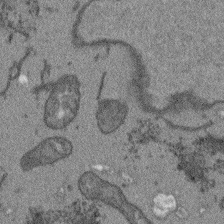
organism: Arabidopsis thaliana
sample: Root tip